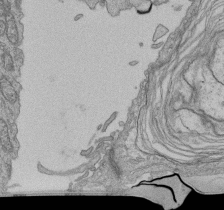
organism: Human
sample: Retinal organoid Rod and Cone cells